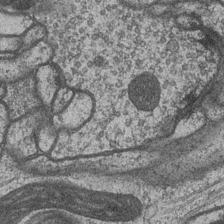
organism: Drosophila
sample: Optic medulla